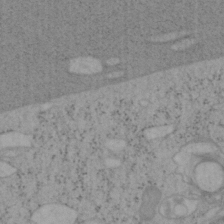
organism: Mouse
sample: OT-I killer T cells with ID8 ovarian cancer cells